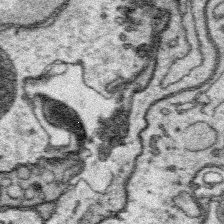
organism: Platynereis dumerilii